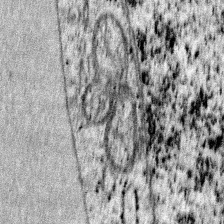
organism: Human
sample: HeLa cells